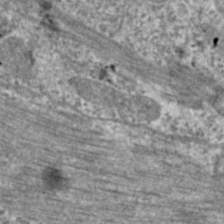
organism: C. elegans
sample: Pharynx